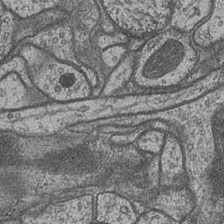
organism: Drosophila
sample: Optic medulla